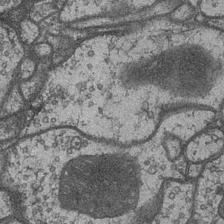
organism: Drosophila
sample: Optic medulla